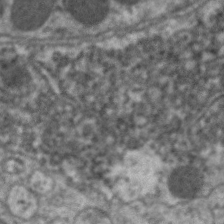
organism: C. elegans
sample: Pharynx